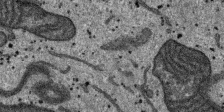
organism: Human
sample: Lung epithelial cells, uninfected (mock) control